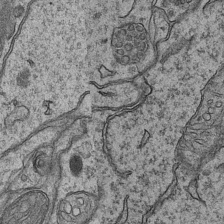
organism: Mouse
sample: CA1 Hippocampus